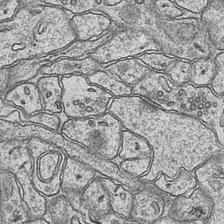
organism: Mouse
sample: CA1 Hippocampus